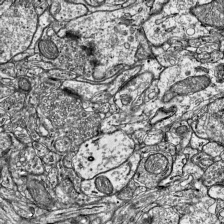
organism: Mouse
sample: Visual Cortex